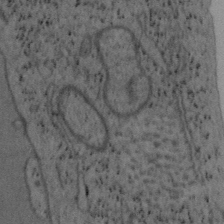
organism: Human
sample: HeLa cells